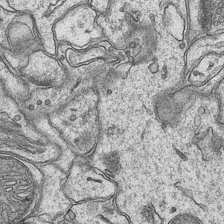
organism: Mouse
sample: CA1 Hippocampus